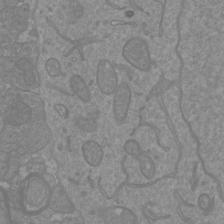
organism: Mouse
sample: Cortical neurons